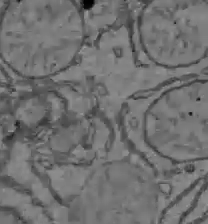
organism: C57BL Mouse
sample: Liver